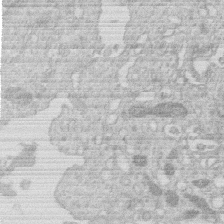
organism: Human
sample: Macrophage cells